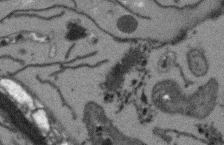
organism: Arabidopsis thaliana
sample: Root tip